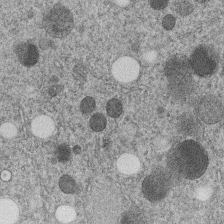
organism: C. elegans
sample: C. elegans embryo early stage